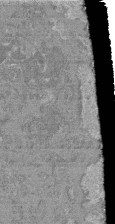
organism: Mouse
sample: Glomerulus